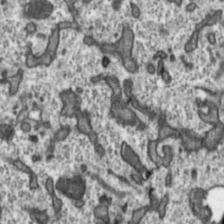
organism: Toxoplasma gondii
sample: Parasites in a vacuole inside a host cell